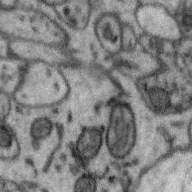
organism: Zebra finch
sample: Brain